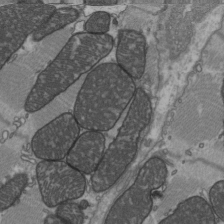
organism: C57BL Mouse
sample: Heart